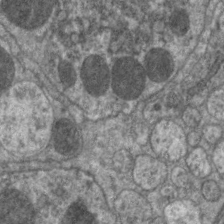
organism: C. elegans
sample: Pharynx